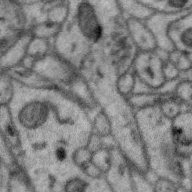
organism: Zebra finch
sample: Brain